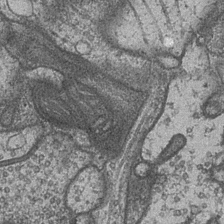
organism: Drosophila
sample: Optic medulla